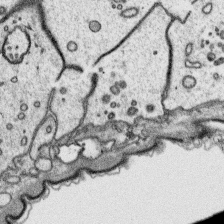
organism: Platynereis dumerilii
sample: Parapodia